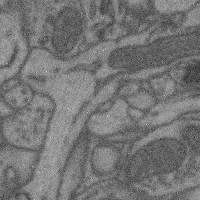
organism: Mouse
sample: Cerebral cortex